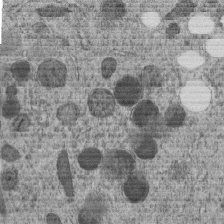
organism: C. elegans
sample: C. elegans embryo early stage